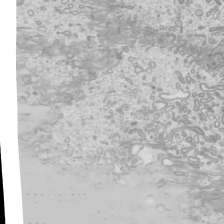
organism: Mouse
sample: Cilia; mouse epididymis